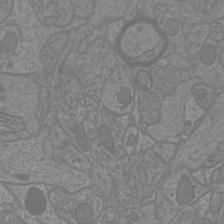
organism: Mouse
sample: Cortical neurons